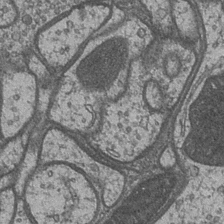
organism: Drosophila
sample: Optic medulla